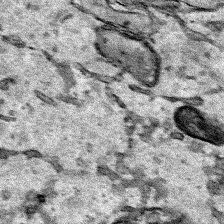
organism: Human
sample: Mitochondria in HCT116 cells